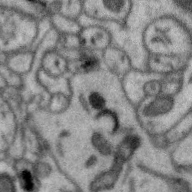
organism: Zebra finch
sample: Brain